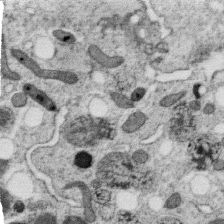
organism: C. elegans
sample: C. elegans oocyte; sperm cells